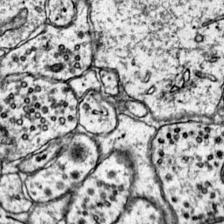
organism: Mouse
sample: Primary visual cortex